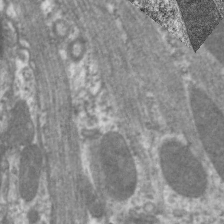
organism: C. elegans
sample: Pharynx